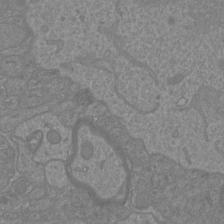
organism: Mouse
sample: Cortical neurons